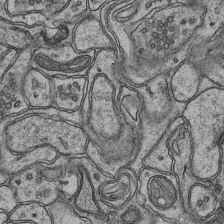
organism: Mouse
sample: CA1 Hippocampus